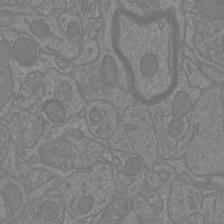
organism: Mouse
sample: Cortical neurons